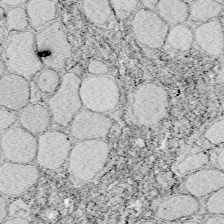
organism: Zebrafish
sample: Whole-Brain